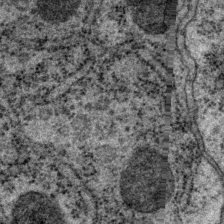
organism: P. pacificus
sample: Pharynx